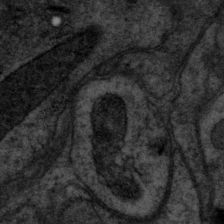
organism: P. pacificus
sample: Pharynx